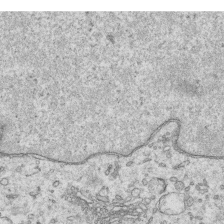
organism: Human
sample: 1205lu cells